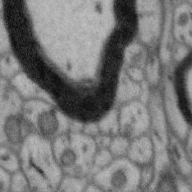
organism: Zebra finch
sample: Brain